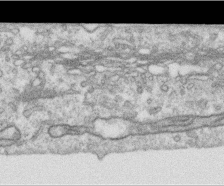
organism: Human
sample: Centriole in RPE cells